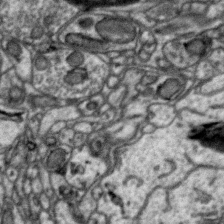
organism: Zebra finch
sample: Brain